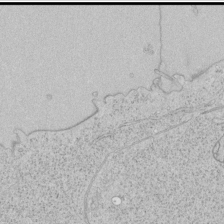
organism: Human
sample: Mitochondria in HCT116 cells